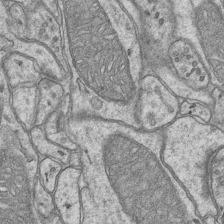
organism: Mouse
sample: CA1 Hippocampus